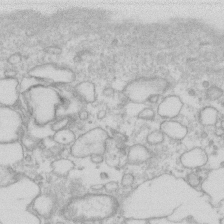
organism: Human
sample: Fibroblast cells